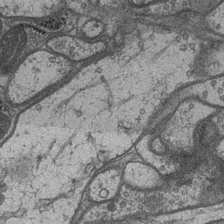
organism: Drosophila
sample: Optic medulla